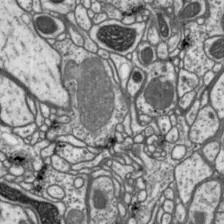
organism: Drosophila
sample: Protocerebral bridge